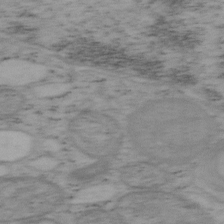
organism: Mouse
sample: OT-I killer T cells with ID8 ovarian cancer cells